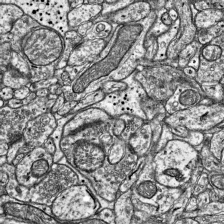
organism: Mouse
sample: Visual Cortex